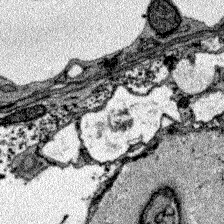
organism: Zebrafish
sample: Larval olfactory bulb